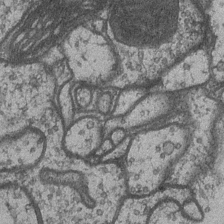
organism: Drosophila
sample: Optic medulla